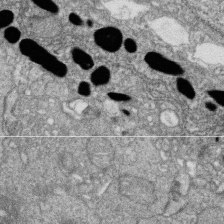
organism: Zebrafish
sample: Cilia; retinal pigment epithelium